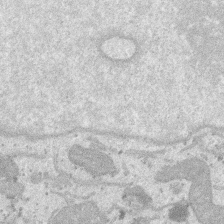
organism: Human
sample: Lung epithelial cells infected with SARS-CoV-2